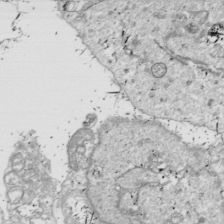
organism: Drosophila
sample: Cell division; meiosis; drosophila spermatocytes